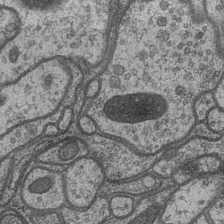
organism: Drosophila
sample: Optic medulla